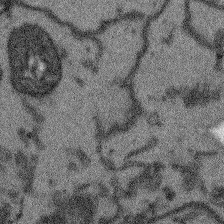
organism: Arabidopsis thaliana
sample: Root tip